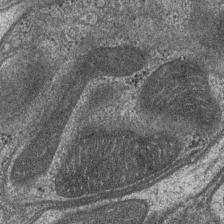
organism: Drosophila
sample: Optic medulla